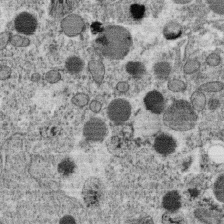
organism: C. elegans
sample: C. elegans oocyte; sperm cells